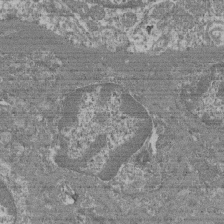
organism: Mouse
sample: Glomerulus